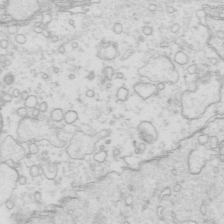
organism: Mouse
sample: Multiciliated cells